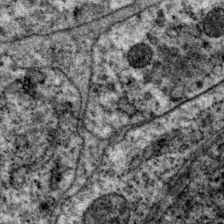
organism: P. pacificus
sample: Pharynx